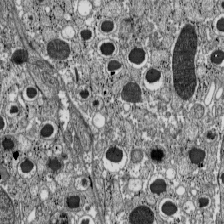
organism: C57BL Mouse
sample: Pancreatic islet